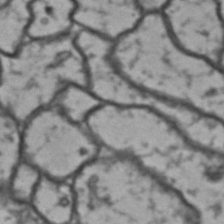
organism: Drosophila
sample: Brain